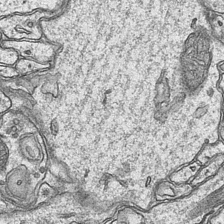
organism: Mouse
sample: CA1 Hippocampus